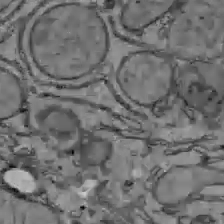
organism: C57BL Mouse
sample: Liver